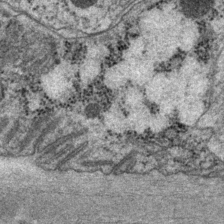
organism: P. pacificus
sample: Pharynx